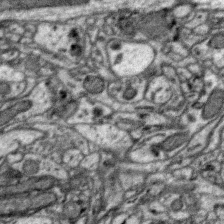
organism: Zebra finch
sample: Brain